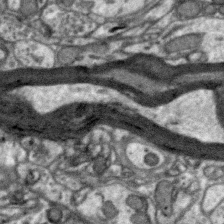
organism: Zebra finch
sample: Brain